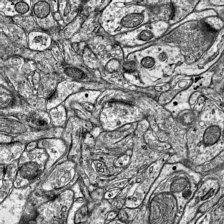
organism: Mouse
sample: Visual Cortex